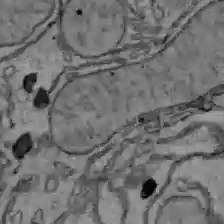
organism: C57BL Mouse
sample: Liver